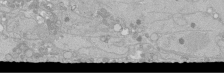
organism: Human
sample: Caco-2 cells